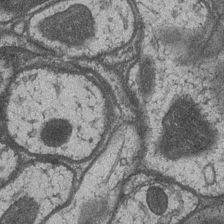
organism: Drosophila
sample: Optic medulla